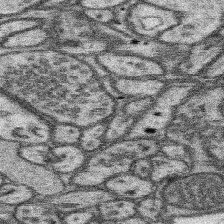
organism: Mouse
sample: Somatosensory cortex neuropil